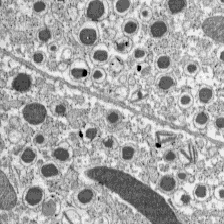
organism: C57BL Mouse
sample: Pancreatic islet